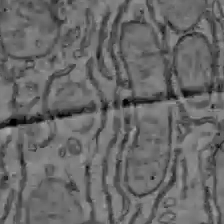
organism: C57BL Mouse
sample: Liver